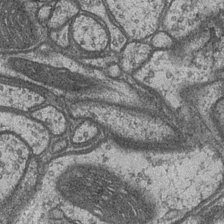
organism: Drosophila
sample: Optic medulla